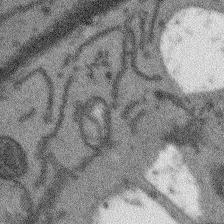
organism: Arabidopsis thaliana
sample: Root tip